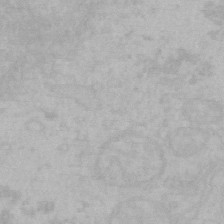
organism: Mouse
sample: Choroid plexus